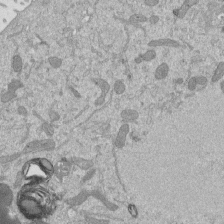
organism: Mouse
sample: ED-1 cell nuclei; centrioles